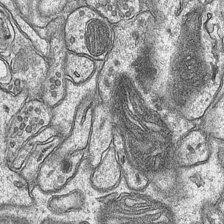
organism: Mouse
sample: CA1 Hippocampus